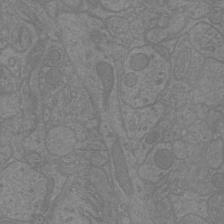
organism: Mouse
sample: Cortical neurons